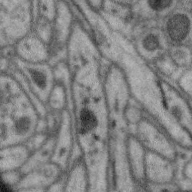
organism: Zebra finch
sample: Brain